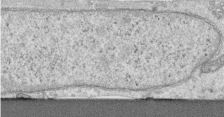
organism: Human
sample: Centriole in RPE cells